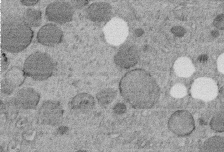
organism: C. elegans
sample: C. elegans embryo early stage